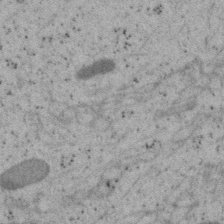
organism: Human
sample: HeLa cells